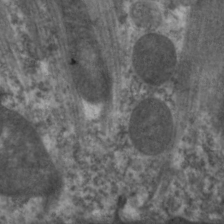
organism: C. elegans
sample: Pharynx